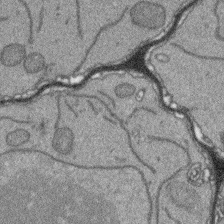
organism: Arabidopsis thaliana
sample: Root tip